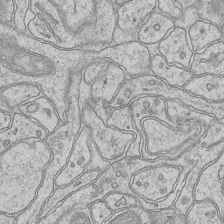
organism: Mouse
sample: CA1 Hippocampus